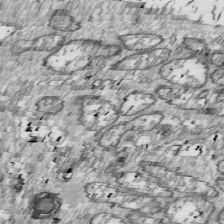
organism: Drosophila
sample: Cell division; meiosis; drosophila spermatocytes